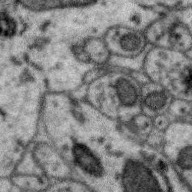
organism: Zebra finch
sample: Brain